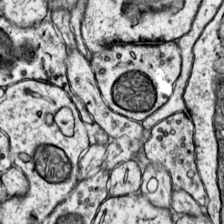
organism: Mouse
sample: Primary visual cortex